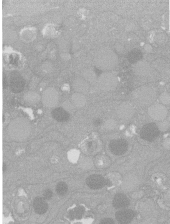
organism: C. elegans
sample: C. elegans oocyte; sperm cells